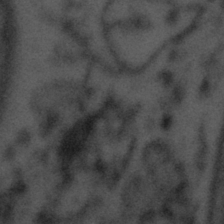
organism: Tuwongella immobilis